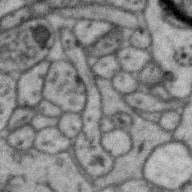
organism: Zebra finch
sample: Brain